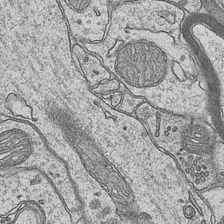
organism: Mouse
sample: CA1 Hippocampus